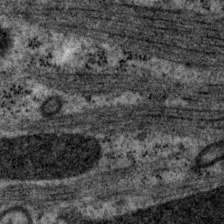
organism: P. pacificus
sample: Pharynx